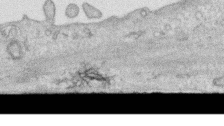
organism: Human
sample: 1205lu cells